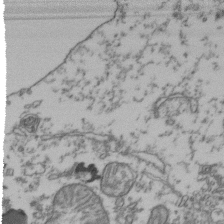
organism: Human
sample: Activated Jurkat CD4+ T cells